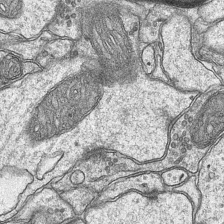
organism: Mouse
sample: CA1 Hippocampus